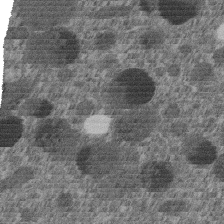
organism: C. elegans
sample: C. elegans embryo early stage